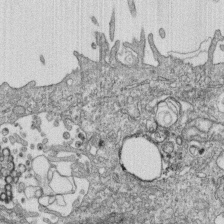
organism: Human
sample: HeLa cell HIV synapse